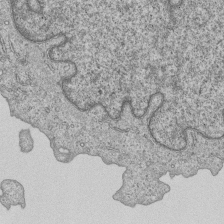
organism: Human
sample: MDA-MB-231 cells